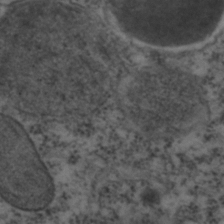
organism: C. elegans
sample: C. elegans embryo